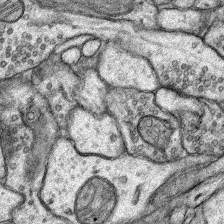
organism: Rat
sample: Hippocampus